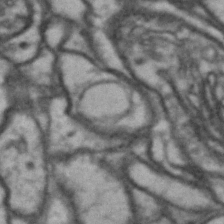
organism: Drosophila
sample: Brain